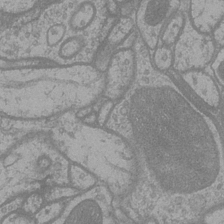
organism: Drosophila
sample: Optic medulla